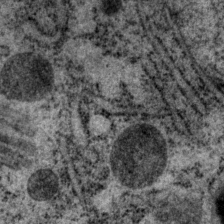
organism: P. pacificus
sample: Pharynx